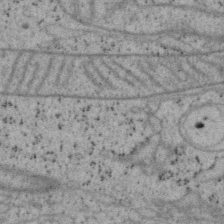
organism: Human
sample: HeLa cells